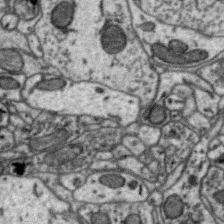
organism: Zebra finch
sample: Brain